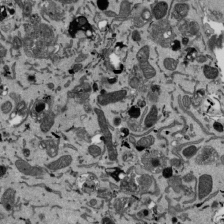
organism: Mouse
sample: ED-1 cell nuclei; centrioles